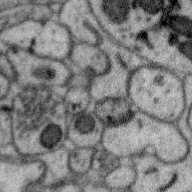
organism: Zebra finch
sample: Brain